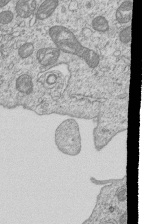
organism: Human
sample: MDA-MB-231 cells